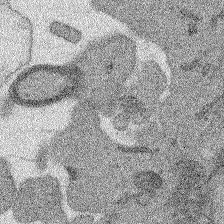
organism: Human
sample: HeLa cells